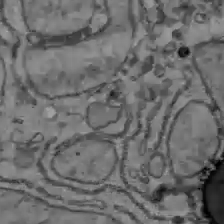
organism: C57BL Mouse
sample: Liver